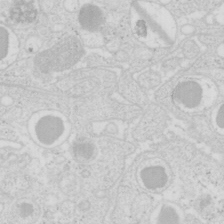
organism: Mouse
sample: Pancreas